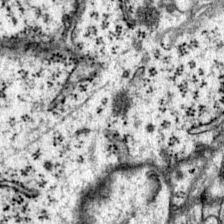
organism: Mouse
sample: Primary visual cortex